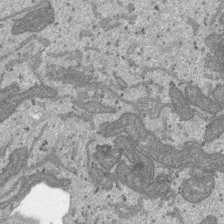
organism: Human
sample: Lung epithelial cells infected with SARS-CoV-2